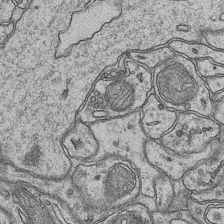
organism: Mouse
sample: CA1 Hippocampus